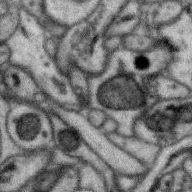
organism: Zebra finch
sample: Brain